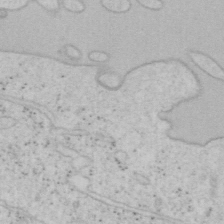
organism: Human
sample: HeLa cells